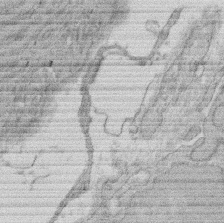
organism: Rat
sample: Salivary granule